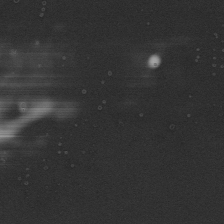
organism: Mouse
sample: Cilia; mouse epididymis